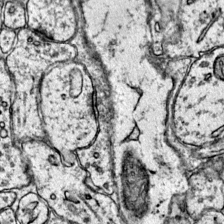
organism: Mouse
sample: Primary visual cortex